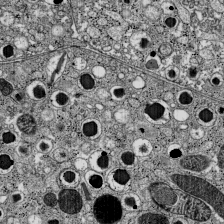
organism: C57BL Mouse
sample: Pancreatic islet